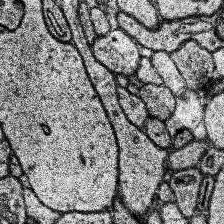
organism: Human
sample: Temporal Lobe